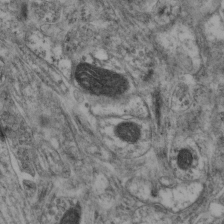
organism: Mouse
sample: Neocortex